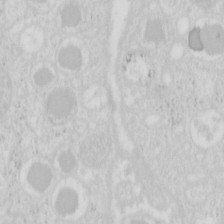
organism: Mouse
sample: Pancreas